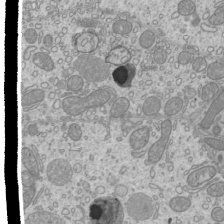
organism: Mouse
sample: Cilia; mouse epididymis